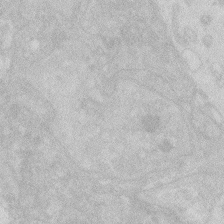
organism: Zebrafish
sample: Macrophage